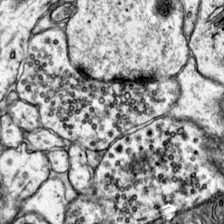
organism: Mouse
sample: Primary visual cortex